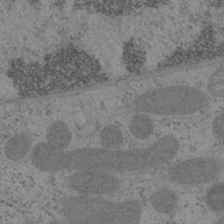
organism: Mouse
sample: OT-I killer T cells with ID8 ovarian cancer cells